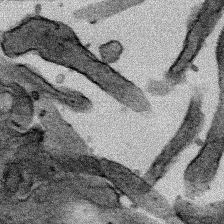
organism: Human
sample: Mitochondria in HCT116 cells